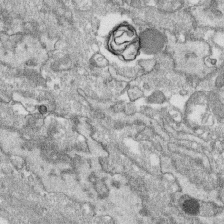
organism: Human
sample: CRL-1474